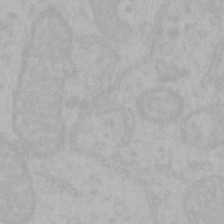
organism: Mouse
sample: Choroid plexus